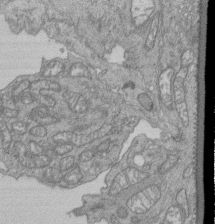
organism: Human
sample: Retinal organoid Rod and Cone cells